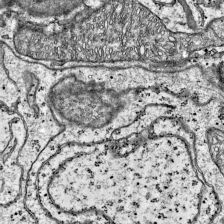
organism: Mouse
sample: Visual Cortex